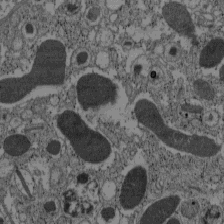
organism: C57BL Mouse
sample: Pancreatic islet